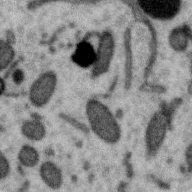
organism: Zebra finch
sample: Brain